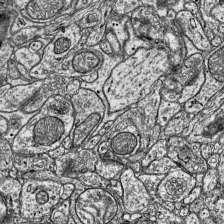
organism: Mouse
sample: Visual Cortex